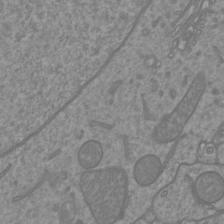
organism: Mouse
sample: Cortical neurons